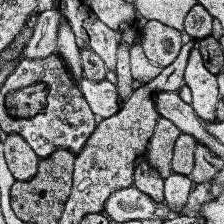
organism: Human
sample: Temporal Lobe